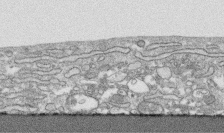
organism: Human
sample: CRL-1474